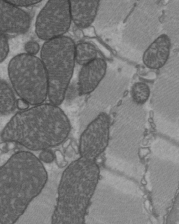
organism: C57BL Mouse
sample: Heart